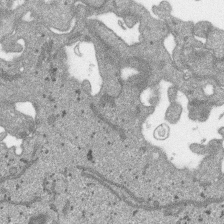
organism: Human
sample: Lung epithelial cells infected with SARS-CoV-2